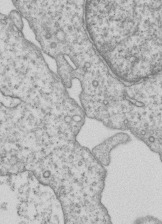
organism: Human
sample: MDA-MB-231 cells